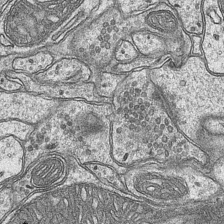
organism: Mouse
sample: CA1 Hippocampus